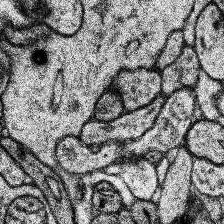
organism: Human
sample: Temporal Lobe